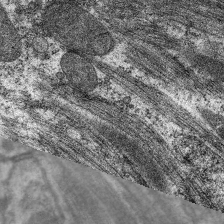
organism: C. elegans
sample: Pharynx